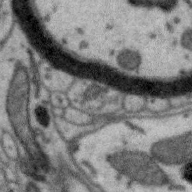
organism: Zebra finch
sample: Brain